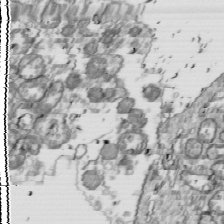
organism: Drosophila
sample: Cell division; meiosis; drosophila spermatocytes